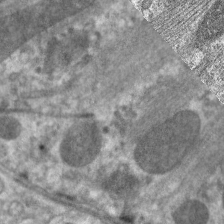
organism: C. elegans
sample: Pharynx